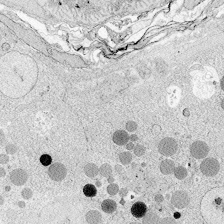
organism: Zebrafish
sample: Whole-Brain